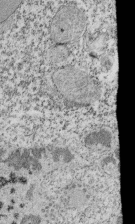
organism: Tetrahymena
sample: Cilia in tetrahymena